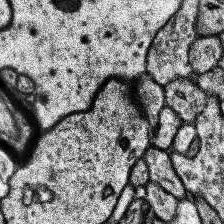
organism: Human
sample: Temporal Lobe